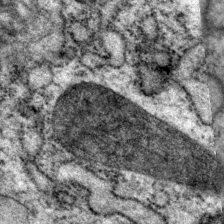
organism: P. pacificus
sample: Pharynx